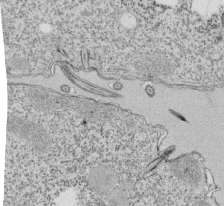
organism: Tetrahymena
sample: Cilia in tetrahymena